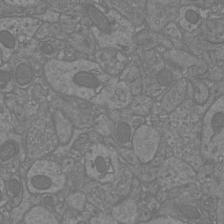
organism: Mouse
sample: Cortical neurons